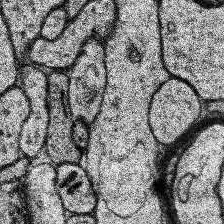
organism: Human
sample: Temporal Lobe